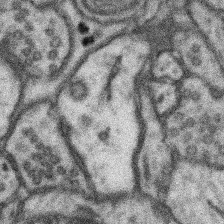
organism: Mouse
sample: Somatosensory cortex neuropil